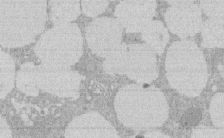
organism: Rat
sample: Salivary granule